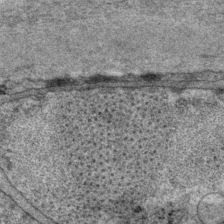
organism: P. pacificus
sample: Pharynx